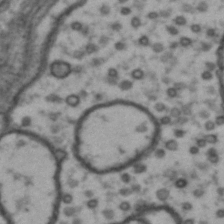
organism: Drosophila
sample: Brain